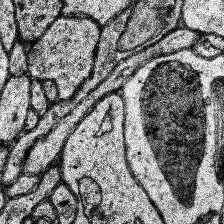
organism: Human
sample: Temporal Lobe